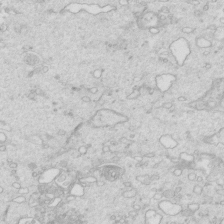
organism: Mouse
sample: Multiciliated cells